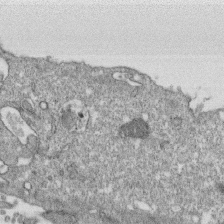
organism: African green monkey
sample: Vero E6 cells infected with SARS-CoV-2